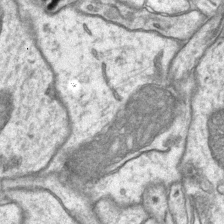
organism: Mouse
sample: CA1 Hippocampus